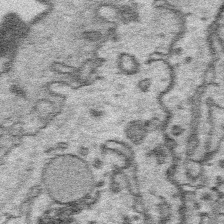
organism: Platynereis dumerilii